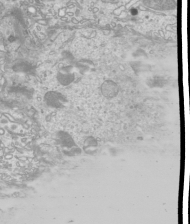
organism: Mouse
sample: Cilia; mouse epididymis